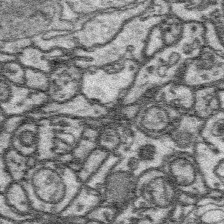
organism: Platynereis dumerilii